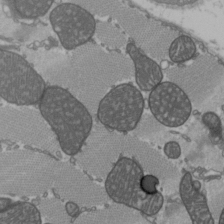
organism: C57BL Mouse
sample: Heart